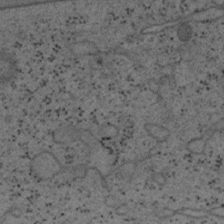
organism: Human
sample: HeLa cells